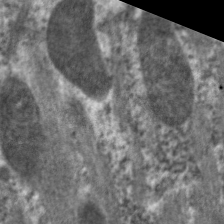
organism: C. elegans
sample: Pharynx